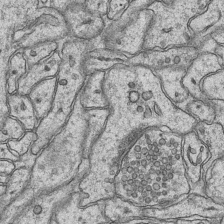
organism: Mouse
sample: CA1 Hippocampus